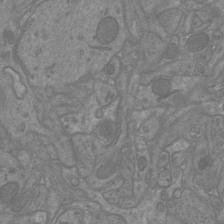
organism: Mouse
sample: Cortical neurons